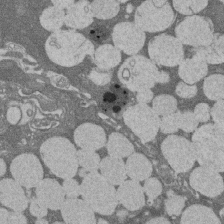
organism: Rat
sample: Salivary granule